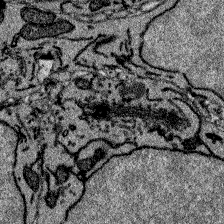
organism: Zebrafish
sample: Larval olfactory bulb